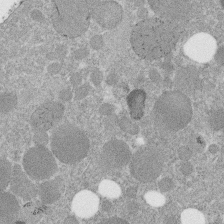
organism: C. elegans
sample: C. elegans embryo early stage